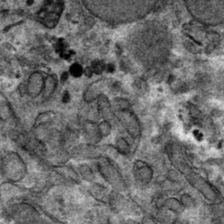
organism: Mouse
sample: Mouse hepatocytes